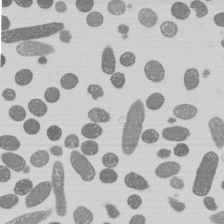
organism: E. coli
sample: Bacterial nucleoid